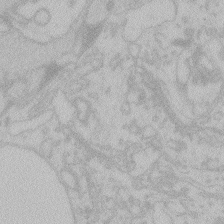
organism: Zebrafish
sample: Macrophage infected with Toxoplasma gondii